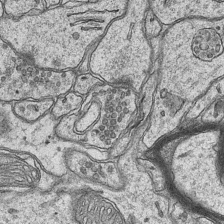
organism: Mouse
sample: CA1 Hippocampus